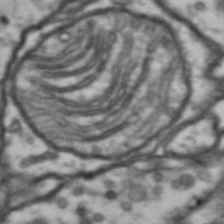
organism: Drosophila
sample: Brain